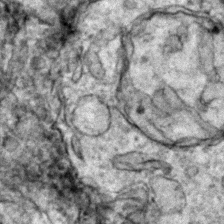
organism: Zebrafish